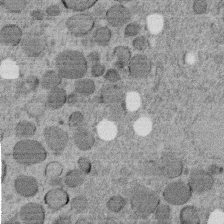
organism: C. elegans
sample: C. elegans embryo early stage